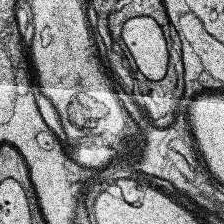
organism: Human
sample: Temporal Lobe